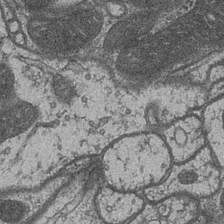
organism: Drosophila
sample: Optic medulla